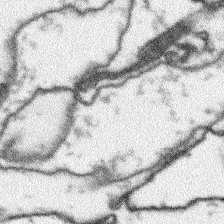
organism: Arabidopsis thaliana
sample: Root tip